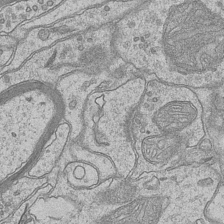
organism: Mouse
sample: CA1 Hippocampus